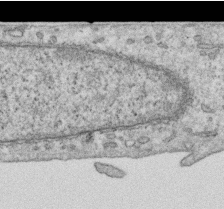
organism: Human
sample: Centriole in RPE cells